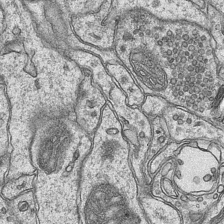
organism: Mouse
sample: CA1 Hippocampus